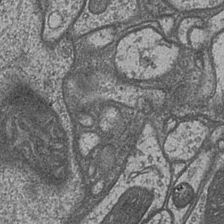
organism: Drosophila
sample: Optic medulla